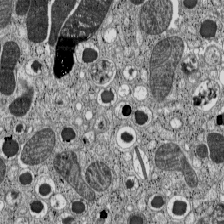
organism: C57BL Mouse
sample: Pancreatic islet